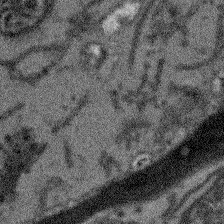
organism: Arabidopsis thaliana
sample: Root tip